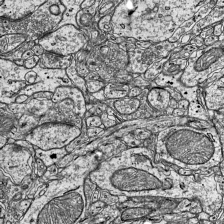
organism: Mouse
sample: Visual Cortex